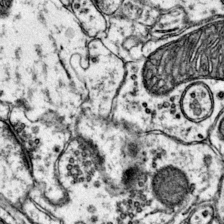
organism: Mouse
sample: Primary visual cortex